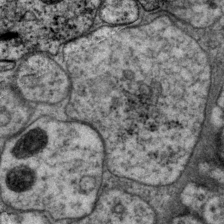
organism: P. pacificus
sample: Pharynx